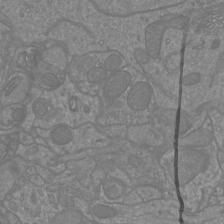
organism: Mouse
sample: Cortical neurons